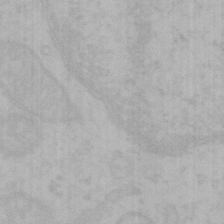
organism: Mouse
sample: Choroid plexus